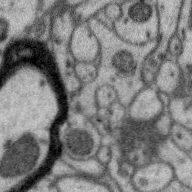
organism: Zebra finch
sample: Brain